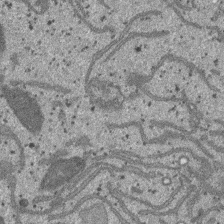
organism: Human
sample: Lung epithelial cells infected with SARS-CoV-2